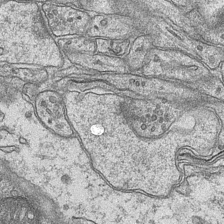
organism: Mouse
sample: CA1 Hippocampus